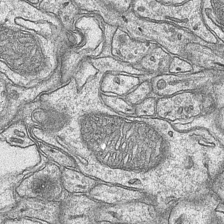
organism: Mouse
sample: CA1 Hippocampus